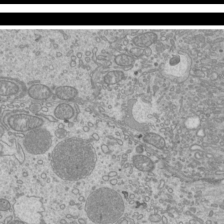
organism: Mouse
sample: Cilia; mouse epididymis